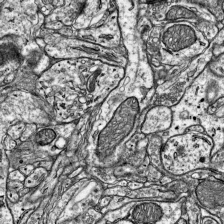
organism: Mouse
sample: Visual Cortex